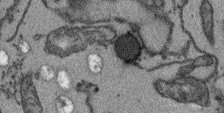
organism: Arabidopsis thaliana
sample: Root tip